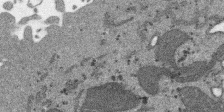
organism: Human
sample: Lung epithelial cells infected with SARS-CoV-2